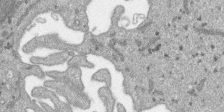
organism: Human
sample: Lung epithelial cells infected with SARS-CoV-2